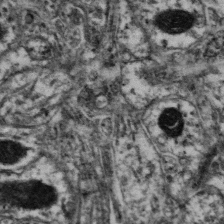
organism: Mouse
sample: Neocortex